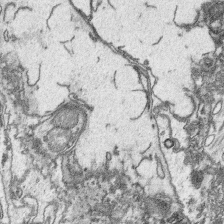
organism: Platynereis dumerilii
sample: Parapodia